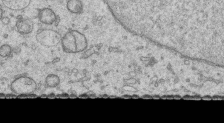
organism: Human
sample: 1205lu cells